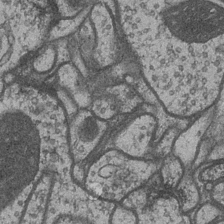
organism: Drosophila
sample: Optic medulla